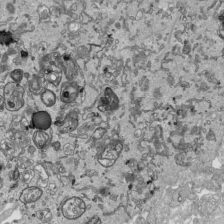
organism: Human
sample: Mitochondria in HCT116 cells